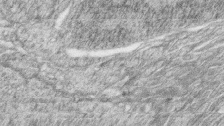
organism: Zebrafish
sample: synaptic ribbons in rod cells and cone cells